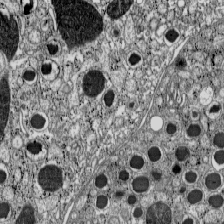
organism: C57BL Mouse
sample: Pancreatic islet